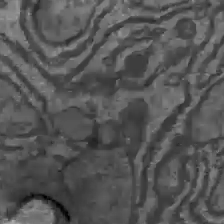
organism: C57BL Mouse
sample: Liver